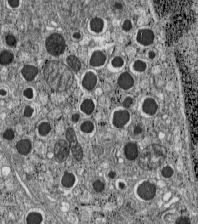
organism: C57BL Mouse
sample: Pancreatic islet